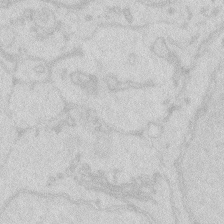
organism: Zebrafish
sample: Macrophage